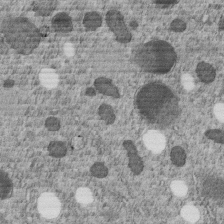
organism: C. elegans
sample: C. elegans embryo early stage